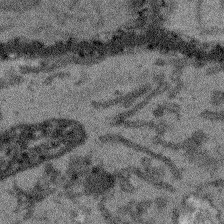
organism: Arabidopsis thaliana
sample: Root tip